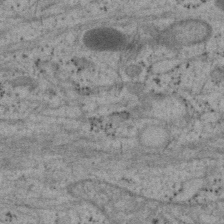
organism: Human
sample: HeLa cells